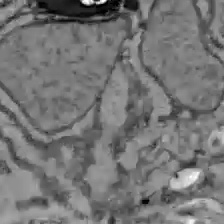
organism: C57BL Mouse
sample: Liver